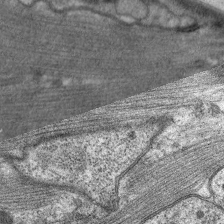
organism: C. elegans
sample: Pharynx